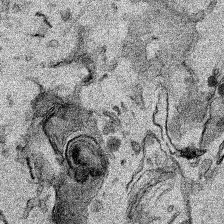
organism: Human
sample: Mitochondria in HCT116 cells